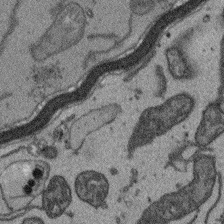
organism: Arabidopsis thaliana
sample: Root tip